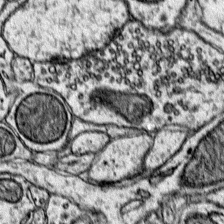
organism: Mouse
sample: Primary visual cortex